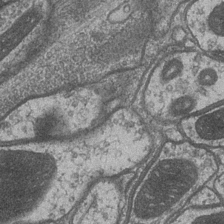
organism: Drosophila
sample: Optic medulla